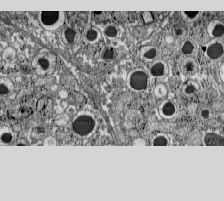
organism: C57BL Mouse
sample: Pancreatic islet